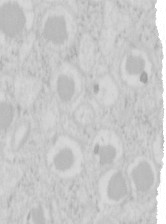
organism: Mouse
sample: Pancreas